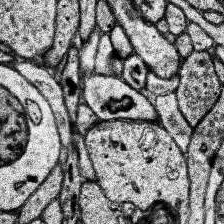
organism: Human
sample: Temporal Lobe